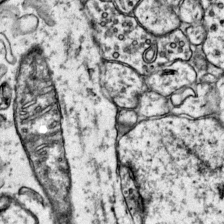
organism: Mouse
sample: Primary visual cortex